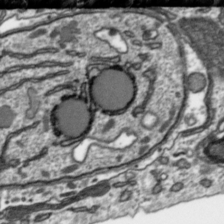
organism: Toxoplasma gondii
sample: Parasites in a vacuole inside a host cell